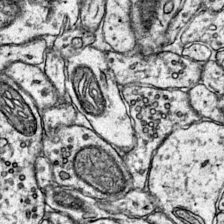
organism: Mouse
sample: Primary visual cortex